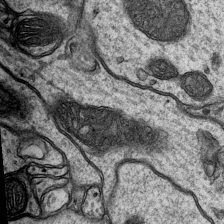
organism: Mouse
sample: CA1 Hippocampus